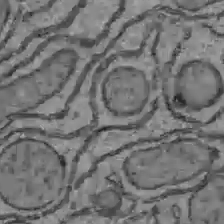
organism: C57BL Mouse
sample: Liver